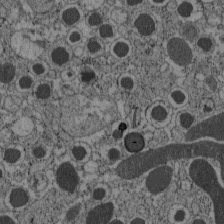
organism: C57BL Mouse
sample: Pancreatic islet